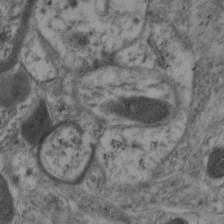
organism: Mouse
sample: Neocortex